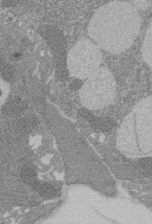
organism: Rat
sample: Salivary granule